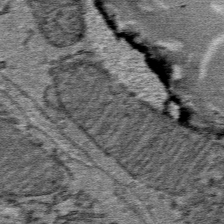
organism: Mouse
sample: Mouse Salivary gland